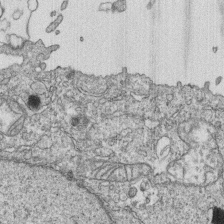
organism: Human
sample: HeLa cell HIV synapse